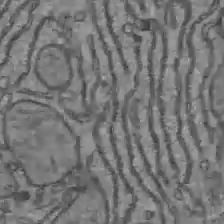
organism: C57BL Mouse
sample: Liver